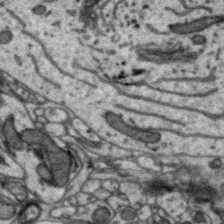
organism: Zebra finch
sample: Brain